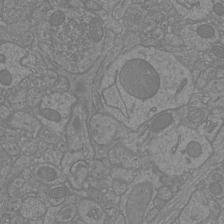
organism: Mouse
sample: Cortical neurons